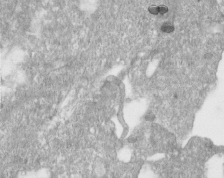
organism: Human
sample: Centriole in RPE cells